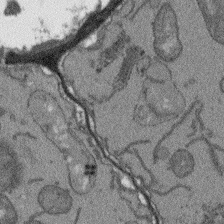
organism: Arabidopsis thaliana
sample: Root tip